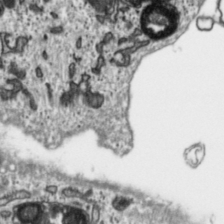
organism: Toxoplasma gondii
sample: Parasites in a vacuole inside a host cell